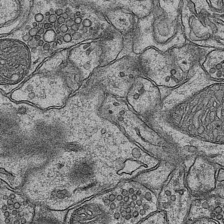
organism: Mouse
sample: CA1 Hippocampus